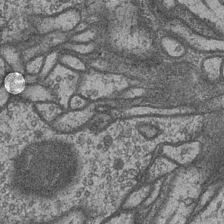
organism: Drosophila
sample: Optic medulla